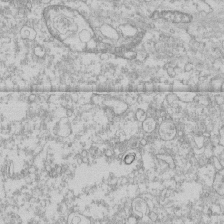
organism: Human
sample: CRL-1474